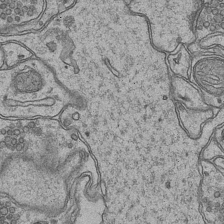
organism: Mouse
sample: CA1 Hippocampus